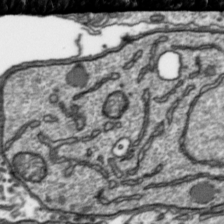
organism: Toxoplasma gondii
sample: Parasites in a vacuole inside a host cell